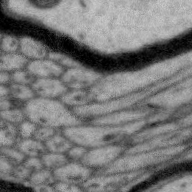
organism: Zebra finch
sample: Brain